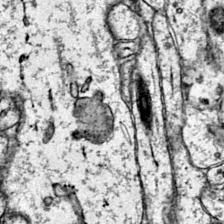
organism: Mouse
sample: Primary visual cortex